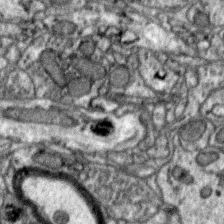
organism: Zebra finch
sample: Brain